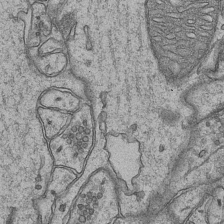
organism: Mouse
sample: CA1 Hippocampus